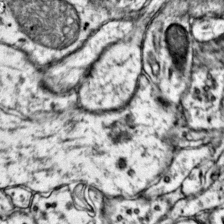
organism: Mouse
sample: Primary visual cortex